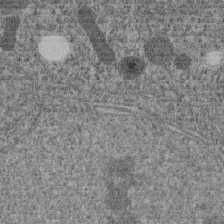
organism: C. elegans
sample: C. elegans embryo early stage